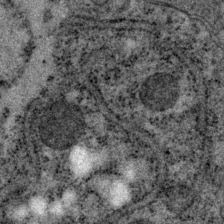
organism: P. pacificus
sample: Pharynx